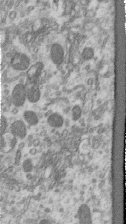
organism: Human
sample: Centriole in RPE cells